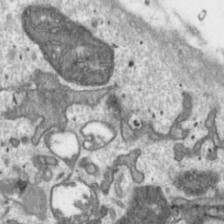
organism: Toxoplasma gondii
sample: Parasites in a vacuole inside a host cell